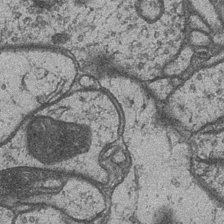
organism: Drosophila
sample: Optic medulla